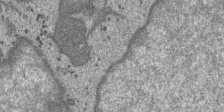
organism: Human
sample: Lung epithelial cells infected with SARS-CoV-2